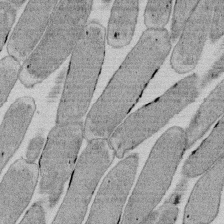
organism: E. coli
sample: Bacterial nucleoid